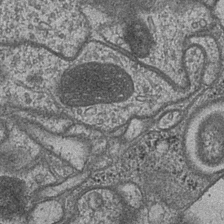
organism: Drosophila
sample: Optic medulla